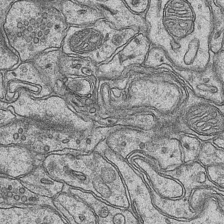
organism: Mouse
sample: CA1 Hippocampus